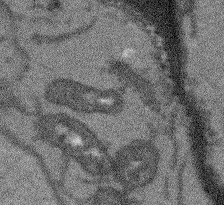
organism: Arabidopsis thaliana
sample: Root tip